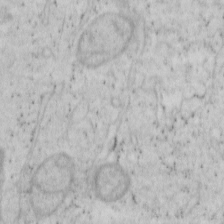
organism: Human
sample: HeLa cells